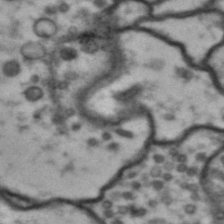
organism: Drosophila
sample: Brain